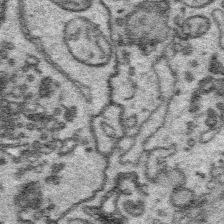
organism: Platynereis dumerilii